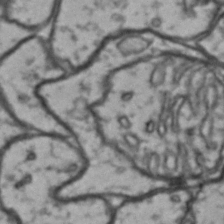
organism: Drosophila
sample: Brain